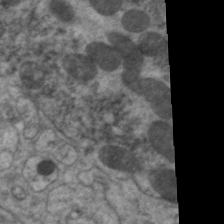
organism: C. elegans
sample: Pharynx